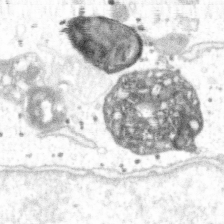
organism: Human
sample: HeLa cells